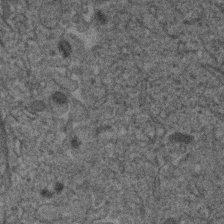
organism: Human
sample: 1205lu cells